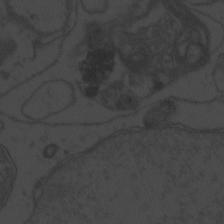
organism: Zebrafish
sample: Macrophage infected with Toxoplasma gondii